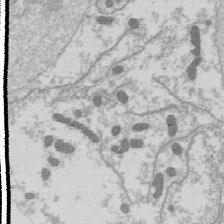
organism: Drosophila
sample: Cell division; meiosis; drosophila spermatocytes